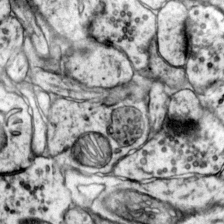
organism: Mouse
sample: Primary visual cortex